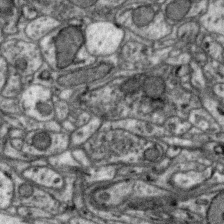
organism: Zebra finch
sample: Brain